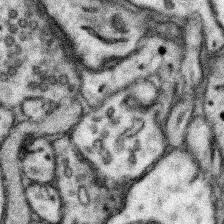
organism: Mouse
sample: Somatosensory cortex neuropil